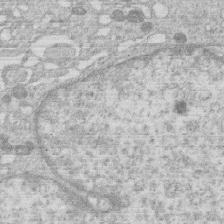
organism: Human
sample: Macrophage cells